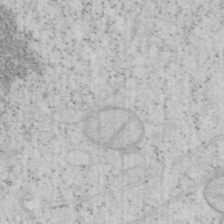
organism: Human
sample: HeLa cells